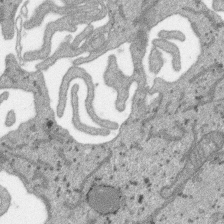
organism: Human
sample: Lung epithelial cells infected with SARS-CoV-2